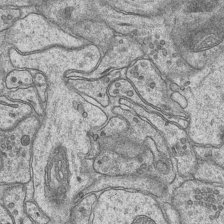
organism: Mouse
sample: CA1 Hippocampus